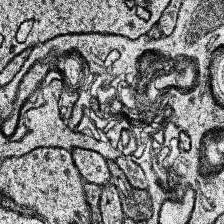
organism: Human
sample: Temporal Lobe